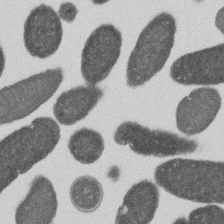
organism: E. coli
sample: Bacterial nucleoid